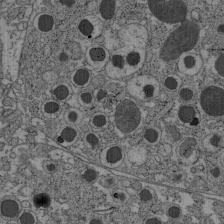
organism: C57BL Mouse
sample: Pancreatic islet